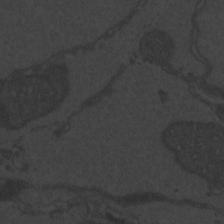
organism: Zebrafish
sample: Macrophage infected with Toxoplasma gondii